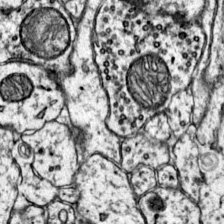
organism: Mouse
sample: Primary visual cortex